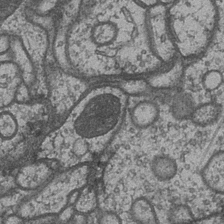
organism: Drosophila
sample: Optic medulla